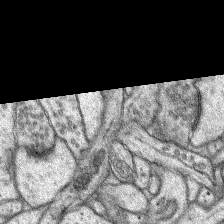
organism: Rat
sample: Hippocampus